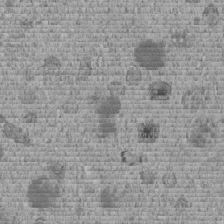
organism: C. elegans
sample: C. elegans embryo early stage